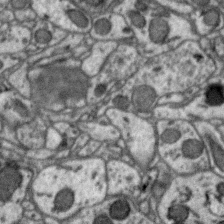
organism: Zebra finch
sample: Brain